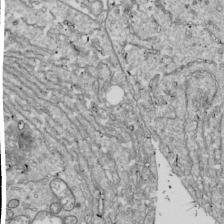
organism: Drosophila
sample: Cell division; meiosis; drosophila spermatocytes